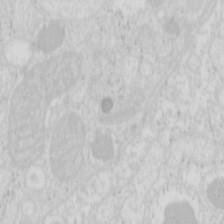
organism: Mouse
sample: Pancreas